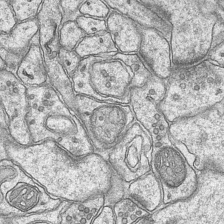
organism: Mouse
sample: CA1 Hippocampus